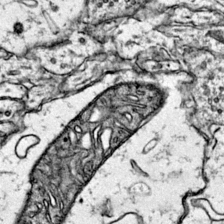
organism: Mouse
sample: Primary visual cortex